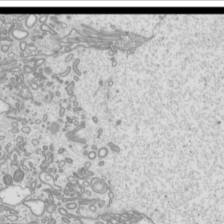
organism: Mouse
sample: Cilia; mouse epididymis